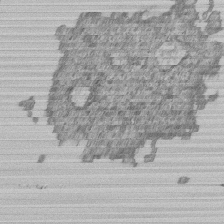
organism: Human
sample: MDA-MB-231 cells